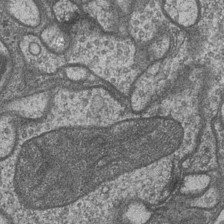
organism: Drosophila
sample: Optic medulla